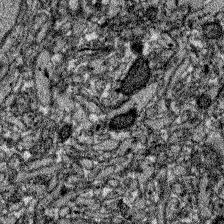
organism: Zebrafish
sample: Larval olfactory bulb